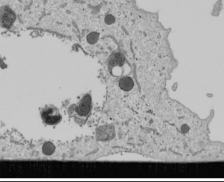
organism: Human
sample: Mitochondria in U2OS cells